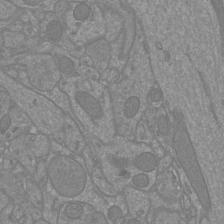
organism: Mouse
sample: Cortical neurons